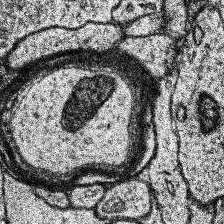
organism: Human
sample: Temporal Lobe